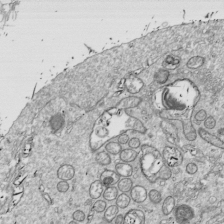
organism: Drosophila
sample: Cell division; meiosis; drosophila spermatocytes